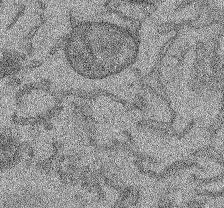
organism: Human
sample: HeLa cells